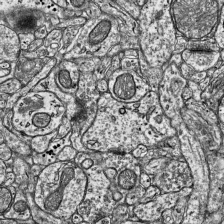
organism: Mouse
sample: Visual Cortex